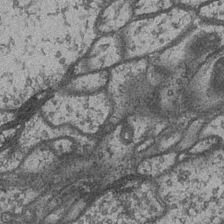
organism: Drosophila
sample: Optic medulla